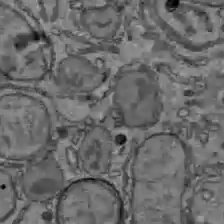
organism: C57BL Mouse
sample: Liver